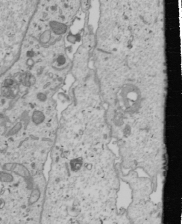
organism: Human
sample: Mitochondria in U2OS cells